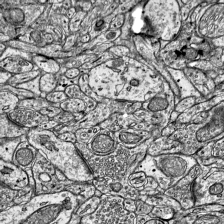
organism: Mouse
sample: Visual Cortex